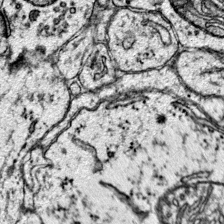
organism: Mouse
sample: Primary visual cortex